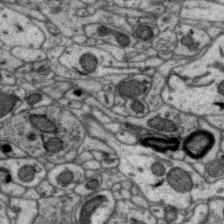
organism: Zebra finch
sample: Brain